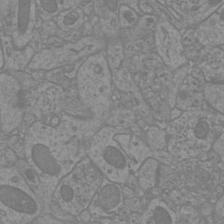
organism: Mouse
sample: Cortical neurons